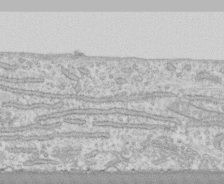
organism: Human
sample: CRL-1474